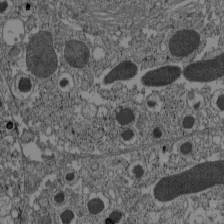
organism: C57BL Mouse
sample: Pancreatic islet